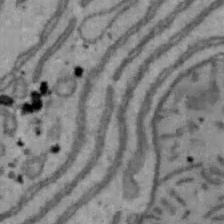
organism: Mouse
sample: Liver